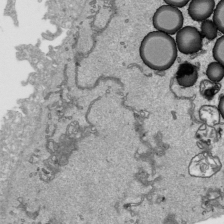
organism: Human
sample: Mitochondria in HCT116 cells